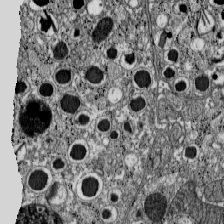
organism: C57BL Mouse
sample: Pancreatic islet